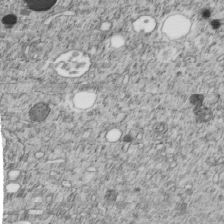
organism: C. elegans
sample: C. elegans embryo early stage